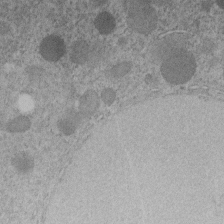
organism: C. elegans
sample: C. elegans embryo early stage